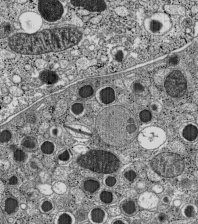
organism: C57BL Mouse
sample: Pancreatic islet